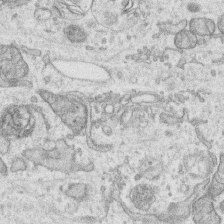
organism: Human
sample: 1205lu cells